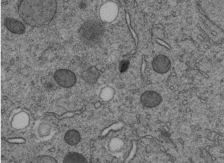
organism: C. elegans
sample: C. elegans embryo early stage